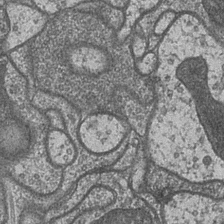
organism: Drosophila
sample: Optic medulla